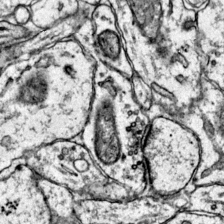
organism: Mouse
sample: Primary visual cortex